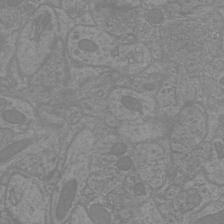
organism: Mouse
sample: Cortical neurons